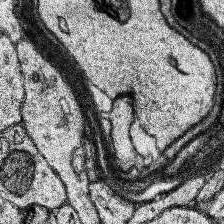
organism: Human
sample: Temporal Lobe